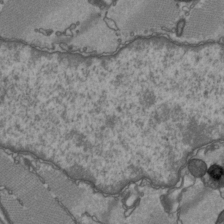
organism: C57BL Mouse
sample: Heart